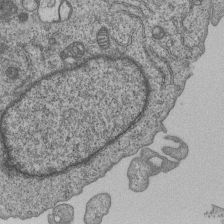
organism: Human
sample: MDA-MB-231 cells